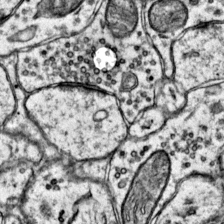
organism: Mouse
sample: Primary visual cortex